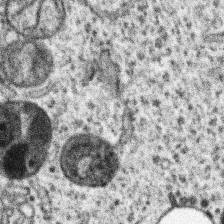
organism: Human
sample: HeLa cells